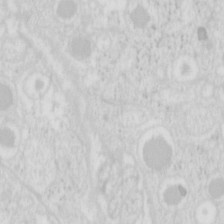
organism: Mouse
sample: Pancreas